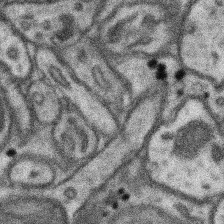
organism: Mouse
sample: Somatosensory cortex neuropil